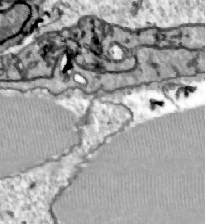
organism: Zebrafish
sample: Actinotrichia fibers